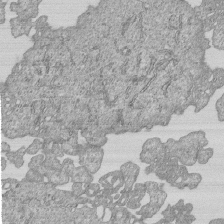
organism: Human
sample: MDA-MB-231 cells